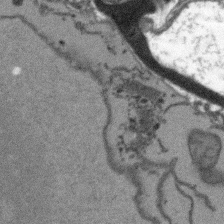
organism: Arabidopsis thaliana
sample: Root tip